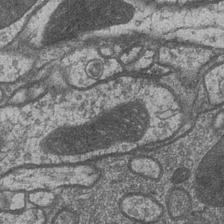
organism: Drosophila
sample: Optic medulla